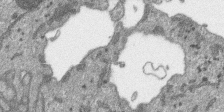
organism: Human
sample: Lung epithelial cells infected with SARS-CoV-2